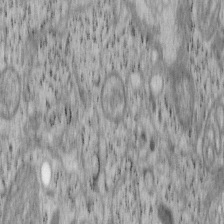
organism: Human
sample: HeLa cells